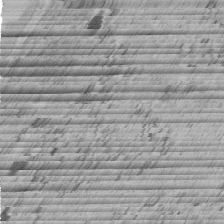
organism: C. elegans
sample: C. elegans embryo early stage